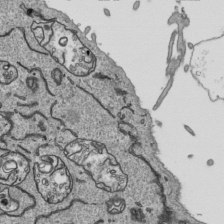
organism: Human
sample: Mitochondria in HCT116 cells